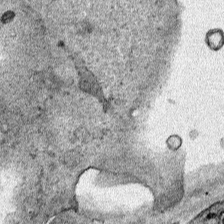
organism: Human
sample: Mitochondria in HCT116 cells